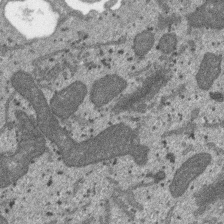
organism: Human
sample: Lung epithelial cells infected with SARS-CoV-2